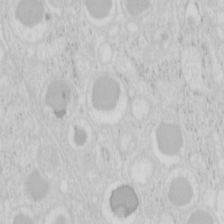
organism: Mouse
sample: Pancreas